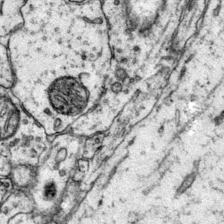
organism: Mouse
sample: Primary visual cortex